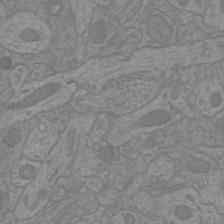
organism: Mouse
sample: Cortical neurons